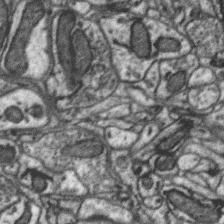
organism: Zebra finch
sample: Brain